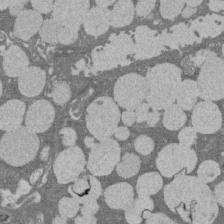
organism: Rat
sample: Salivary granule